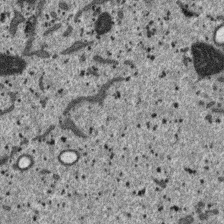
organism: Human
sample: Lung epithelial cells infected with SARS-CoV-2